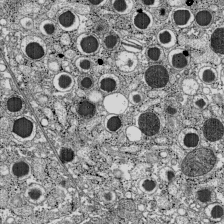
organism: C57BL Mouse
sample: Pancreatic islet